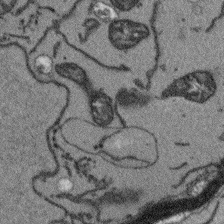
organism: Arabidopsis thaliana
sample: Root tip